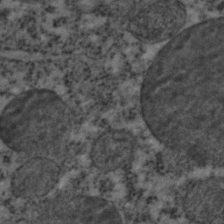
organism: C. elegans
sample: C. elegans embryo